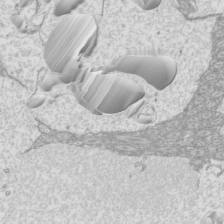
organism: Mouse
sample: Cilia; mouse epididymis